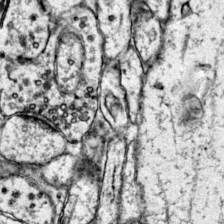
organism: Mouse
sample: Primary visual cortex